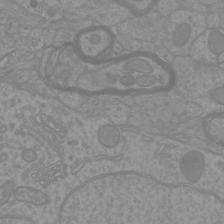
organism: Mouse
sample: Cortical neurons